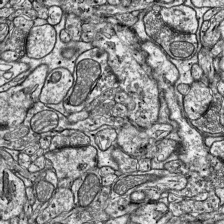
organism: Mouse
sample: Visual Cortex